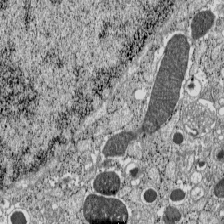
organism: C57BL Mouse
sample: Pancreatic islet